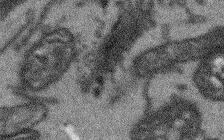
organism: Arabidopsis thaliana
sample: Root tip